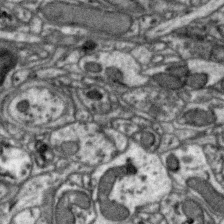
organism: Zebra finch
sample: Brain